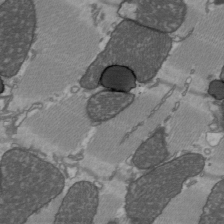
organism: C57BL Mouse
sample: Heart